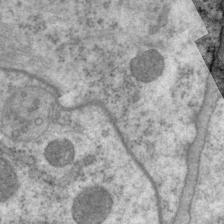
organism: P. pacificus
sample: Pharynx